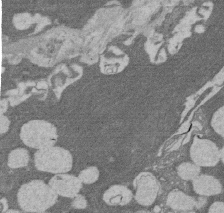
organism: Rat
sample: Salivary granule